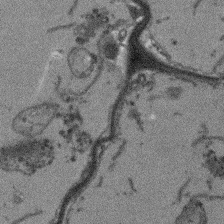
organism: Arabidopsis thaliana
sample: Root tip